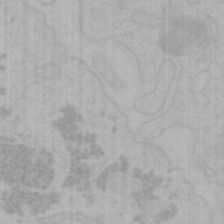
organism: Mouse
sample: Choroid plexus